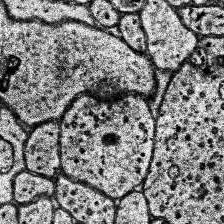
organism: Human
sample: Temporal Lobe